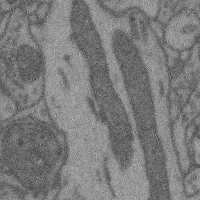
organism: Mouse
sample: Cerebral cortex